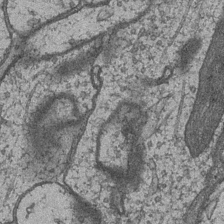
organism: Drosophila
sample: Optic medulla